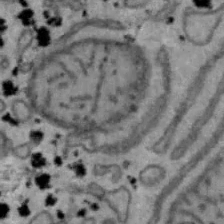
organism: Mouse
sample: Liver